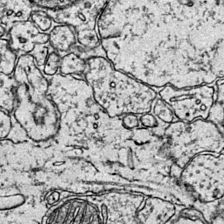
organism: Mouse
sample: Primary visual cortex